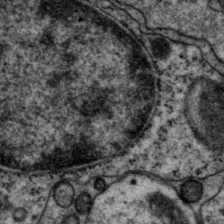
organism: P. pacificus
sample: Pharynx